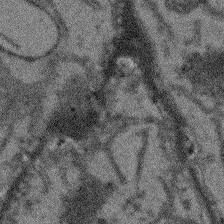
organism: Arabidopsis thaliana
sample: Root tip